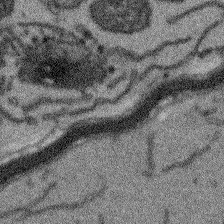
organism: Arabidopsis thaliana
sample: Root tip